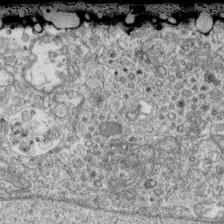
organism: Human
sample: HeLa cell HIV synapse